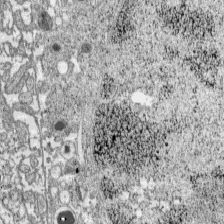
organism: C57BL Mouse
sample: Pancreatic islet